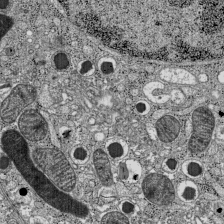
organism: C57BL Mouse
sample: Pancreatic islet